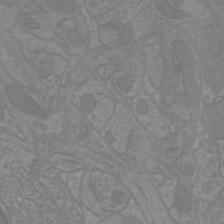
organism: Mouse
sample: Cortical neurons